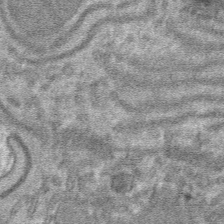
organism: Mouse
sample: Mouse hepatocytes